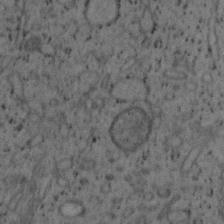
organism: Human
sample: HeLa cells